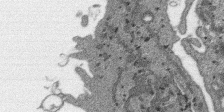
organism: Human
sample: Lung epithelial cells infected with SARS-CoV-2